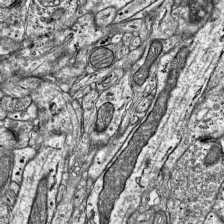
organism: Mouse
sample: Visual Cortex